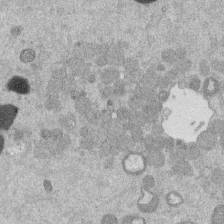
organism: Mouse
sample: Dividing mouse embryo 1 cell stage